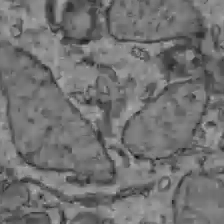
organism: C57BL Mouse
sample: Liver